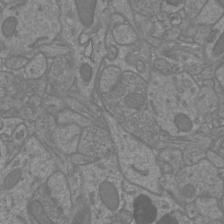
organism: Mouse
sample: Cortical neurons